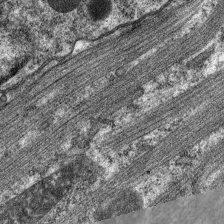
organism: C. elegans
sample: Pharynx